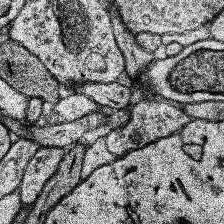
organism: Human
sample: Temporal Lobe